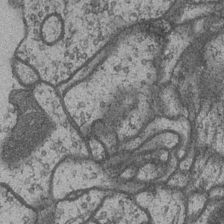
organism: Drosophila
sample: Optic medulla